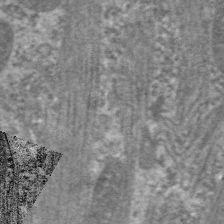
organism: C. elegans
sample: Pharynx